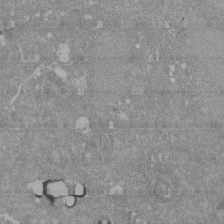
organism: Mouse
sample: ED-1 cell nuclei; centrioles